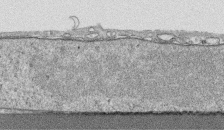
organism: Human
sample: CRL-1474